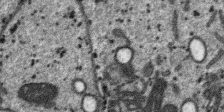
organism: Human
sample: Lung epithelial cells infected with SARS-CoV-2